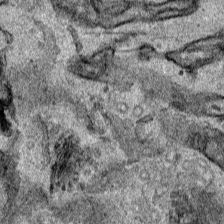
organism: Human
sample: Mitochondria in HCT116 cells